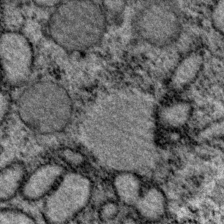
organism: P. pacificus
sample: Pharynx